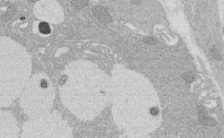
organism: Rat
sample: Salivary granule